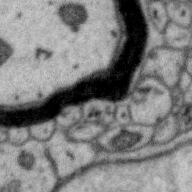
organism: Zebra finch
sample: Brain